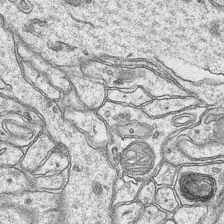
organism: Mouse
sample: CA1 Hippocampus